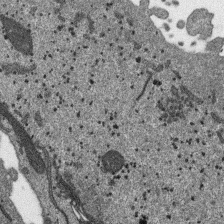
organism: Human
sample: Lung epithelial cells infected with SARS-CoV-2